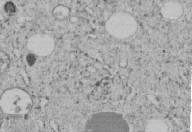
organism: C. elegans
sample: C. elegans embryo early stage